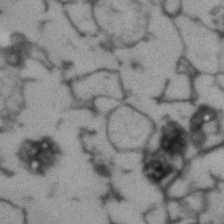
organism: Human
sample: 1205lu cells